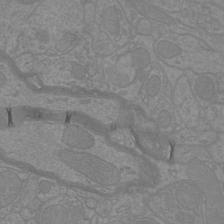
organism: Mouse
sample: Cortical neurons